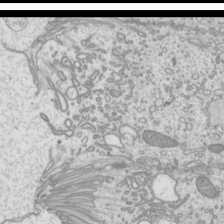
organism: Mouse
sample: Cilia; mouse epididymis